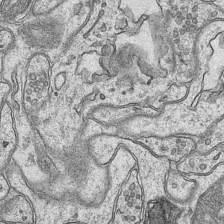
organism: Mouse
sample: CA1 Hippocampus